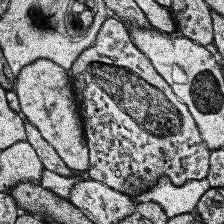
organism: Human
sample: Temporal Lobe